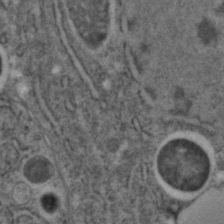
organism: C. elegans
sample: C. elegans embryo